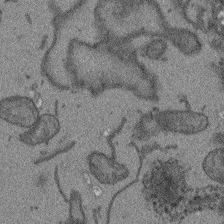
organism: Arabidopsis thaliana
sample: Root tip